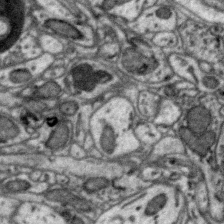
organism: Zebra finch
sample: Brain